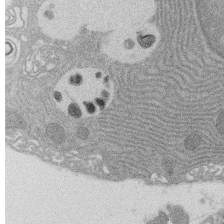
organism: Rat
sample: Salivary granule